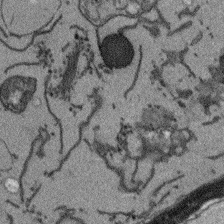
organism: Arabidopsis thaliana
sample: Root tip